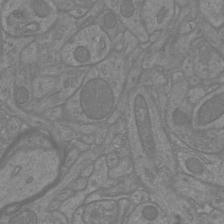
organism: Mouse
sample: Cortical neurons